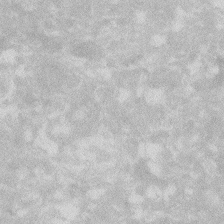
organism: Zebrafish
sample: Macrophage